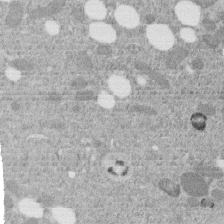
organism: C. elegans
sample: C. elegans embryo early stage